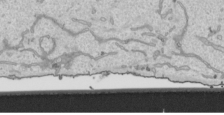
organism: Human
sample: Mitochondria in HCT116 cells